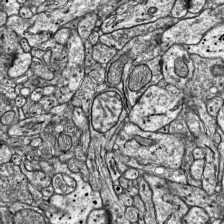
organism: Mouse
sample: Visual Cortex